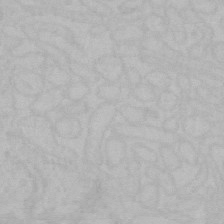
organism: Mouse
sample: Choroid plexus